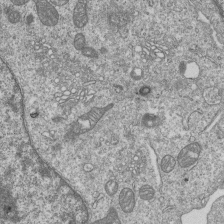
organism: Human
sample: MDA-MB-231 cells